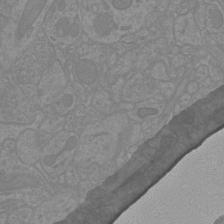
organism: Mouse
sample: Cortical neurons